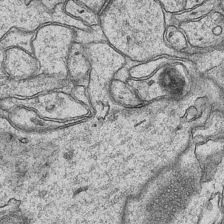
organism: Mouse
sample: CA1 Hippocampus